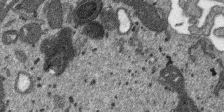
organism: Human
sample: Lung epithelial cells infected with SARS-CoV-2